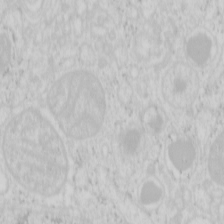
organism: Mouse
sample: Pancreas